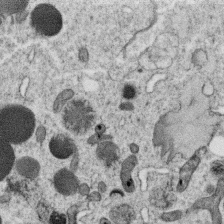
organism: C. elegans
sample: C. elegans oocyte; sperm cells